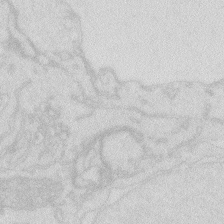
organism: Zebrafish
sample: Macrophage